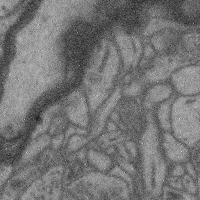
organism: Mouse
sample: Cerebral cortex